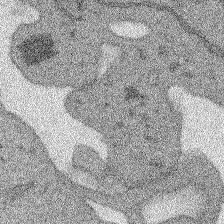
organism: Human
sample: HeLa cells